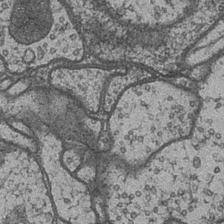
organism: Drosophila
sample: Optic medulla